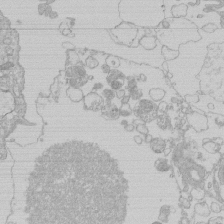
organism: Human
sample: Macrophage cells